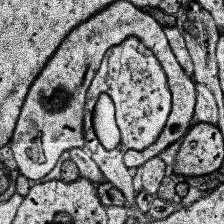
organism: Human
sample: Temporal Lobe